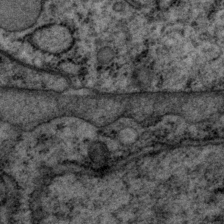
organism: P. pacificus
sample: Pharynx